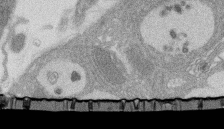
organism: Rat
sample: Salivary granule